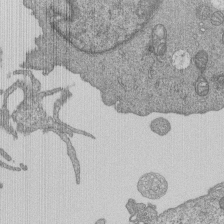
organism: Human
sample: MDA-MB-231 cells